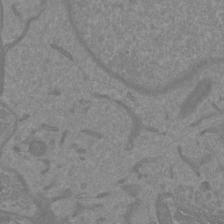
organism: Mouse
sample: Cortical neurons